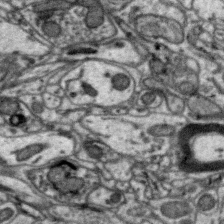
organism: Zebra finch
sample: Brain